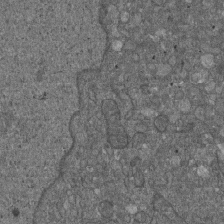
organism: Drosophila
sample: Nephrocyte